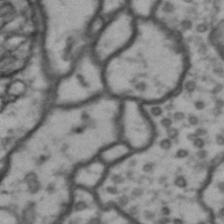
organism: Drosophila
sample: Brain